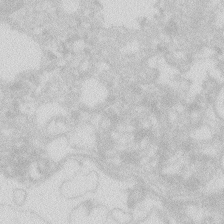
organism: Zebrafish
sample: Macrophage